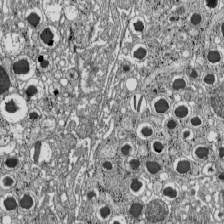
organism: C57BL Mouse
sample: Pancreatic islet